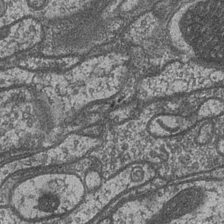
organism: Drosophila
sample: Optic medulla